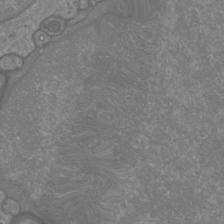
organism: Mouse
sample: Cortical neurons